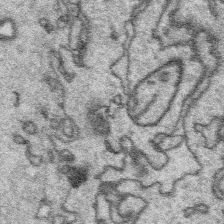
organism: Platynereis dumerilii